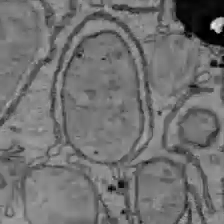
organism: C57BL Mouse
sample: Liver